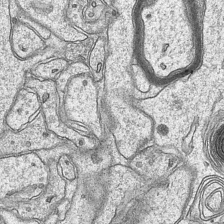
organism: Mouse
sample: CA1 Hippocampus